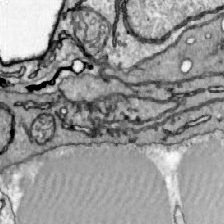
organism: Zebrafish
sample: Actinotrichia fibers